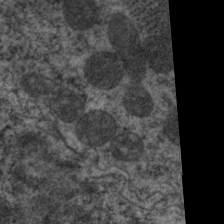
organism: C. elegans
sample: Pharynx